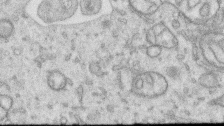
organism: Human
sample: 1205lu cells